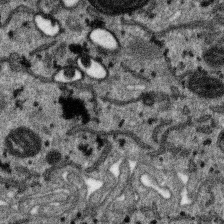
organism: Human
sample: Lung epithelial cells infected with SARS-CoV-2